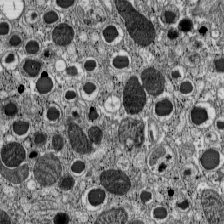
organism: C57BL Mouse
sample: Pancreatic islet